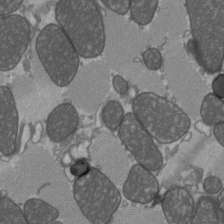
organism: C57BL Mouse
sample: Heart